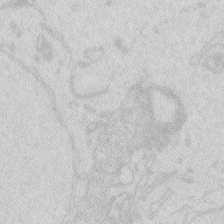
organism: Zebrafish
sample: Macrophage